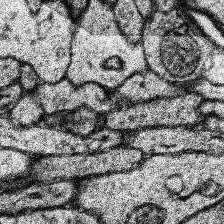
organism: Human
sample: Temporal Lobe